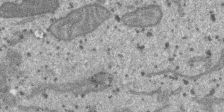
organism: Human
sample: Lung epithelial cells infected with SARS-CoV-2